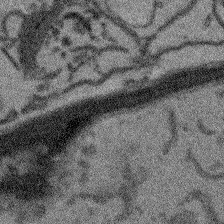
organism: Arabidopsis thaliana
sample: Root tip